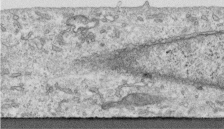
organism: Human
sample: Centriole in RPE cells